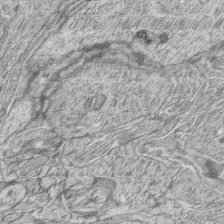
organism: Zebrafish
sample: synaptic ribbons in rod cells and cone cells